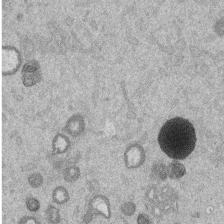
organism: Mouse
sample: Dividing mouse embryo 1 cell stage